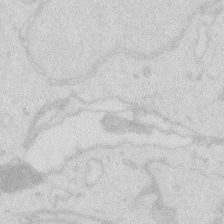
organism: Zebrafish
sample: Macrophage